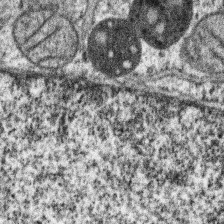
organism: Human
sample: HeLa cells